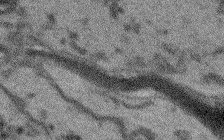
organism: Arabidopsis thaliana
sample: Root tip